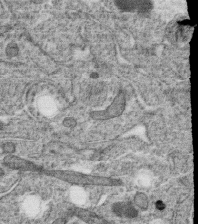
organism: C. elegans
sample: C. elegans oocyte; sperm cells